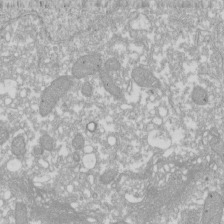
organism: Xenopus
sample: Cilia; centrioles in frog embryo cells